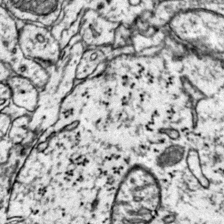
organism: Mouse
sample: Primary visual cortex